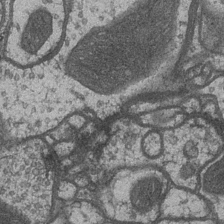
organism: Drosophila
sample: Optic medulla